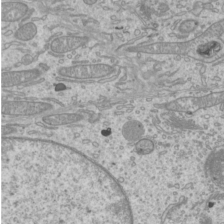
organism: Mouse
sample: Cilia; mouse epididymis